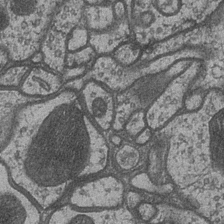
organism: Drosophila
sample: Optic medulla